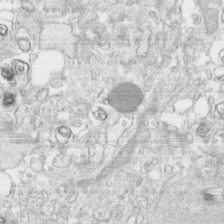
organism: Human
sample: CRL-1474